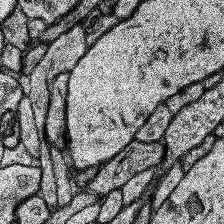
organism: Human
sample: Temporal Lobe